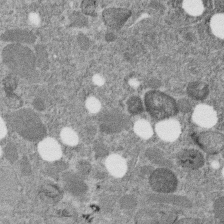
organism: C. elegans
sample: C. elegans embryo early stage